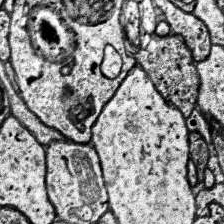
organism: Human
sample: Temporal Lobe